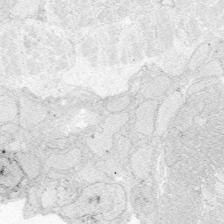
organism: Zebrafish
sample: Whole-Brain